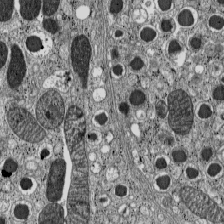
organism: C57BL Mouse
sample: Pancreatic islet